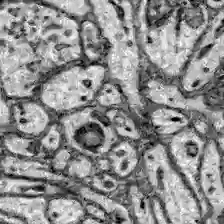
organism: Zebrafish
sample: Brain